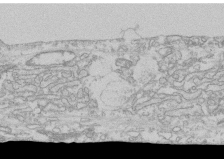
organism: Human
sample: CRL-1474